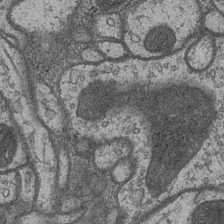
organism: Drosophila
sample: Optic medulla